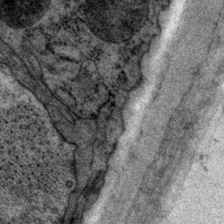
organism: P. pacificus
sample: Pharynx